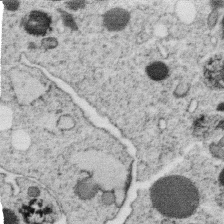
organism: C. elegans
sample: C. elegans oocyte; sperm cells